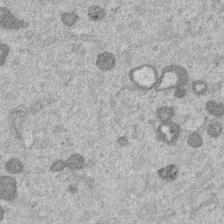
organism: Mouse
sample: Dividing mouse embryo 1 cell stage